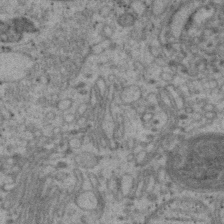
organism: Human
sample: HeLa cells